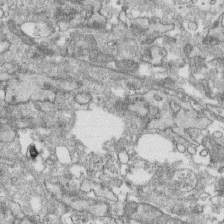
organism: Human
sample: CRL-1474